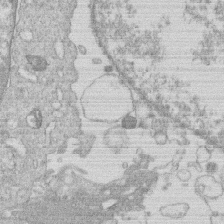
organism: Human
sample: Macrophage cells